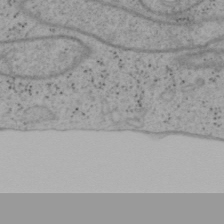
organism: Human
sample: HeLa cells